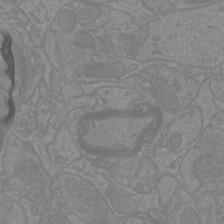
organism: Mouse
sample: Cortical neurons